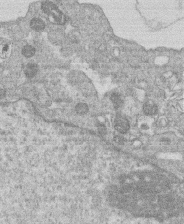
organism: Human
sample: Macrophage cells